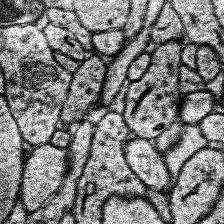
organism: Human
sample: Temporal Lobe